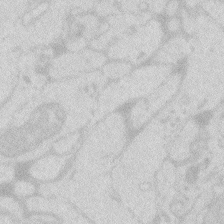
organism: Zebrafish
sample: Macrophage